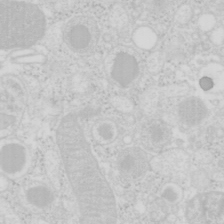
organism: Mouse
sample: Pancreas